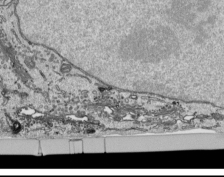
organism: Human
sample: Mitochondria in HCT116 cells